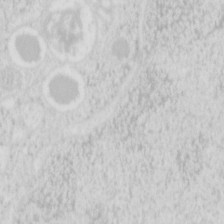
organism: Mouse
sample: Pancreas